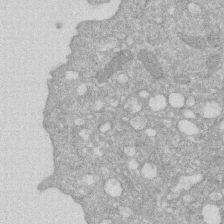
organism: Human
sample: HIV infected U937 cells